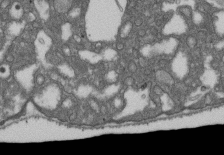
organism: Drosophila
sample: Nephrocyte